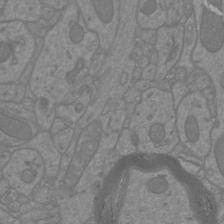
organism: Mouse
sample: Cortical neurons